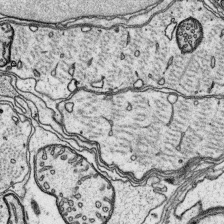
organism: Platynereis dumerilii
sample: Parapodia